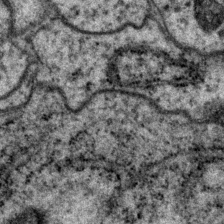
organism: P. pacificus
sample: Pharynx